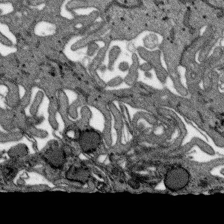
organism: Human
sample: Lung epithelial cells, uninfected (mock) control